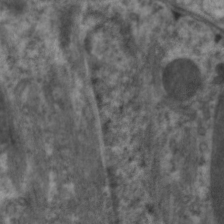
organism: C. elegans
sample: Pharynx